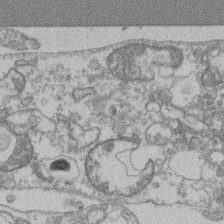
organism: Mouse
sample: T cell stromal cell synapse